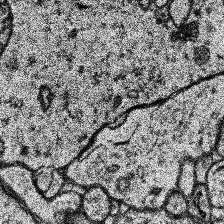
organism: Human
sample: Temporal Lobe